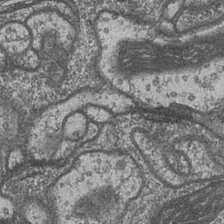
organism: Drosophila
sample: Optic medulla